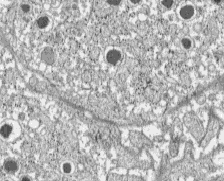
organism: C57BL Mouse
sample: Pancreatic islet